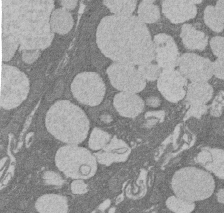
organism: Rat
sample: Salivary granule